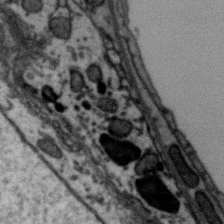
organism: Zebra finch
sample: Brain